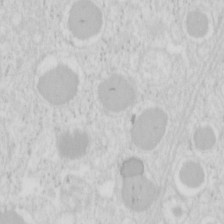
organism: Mouse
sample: Pancreas